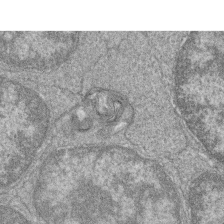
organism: Zebrafish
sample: Cilia; retinal pigment epithelium